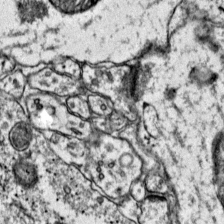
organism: Mouse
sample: Primary visual cortex